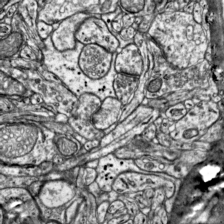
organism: Mouse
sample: Visual Cortex